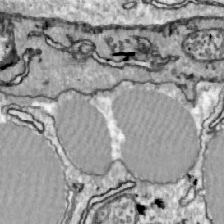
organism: Zebrafish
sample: Actinotrichia fibers